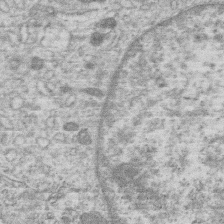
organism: Human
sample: Macrophage cells